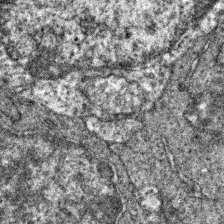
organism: Zebrafish